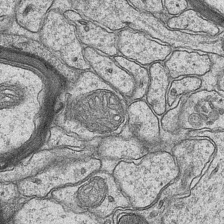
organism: Mouse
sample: CA1 Hippocampus